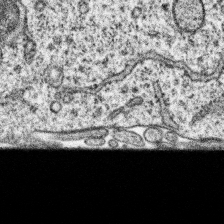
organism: Human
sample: HeLa cells